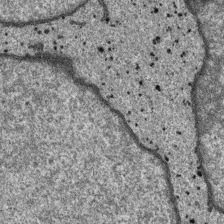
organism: Human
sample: Lung epithelial cells, uninfected (mock) control